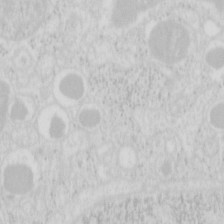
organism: Mouse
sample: Pancreas